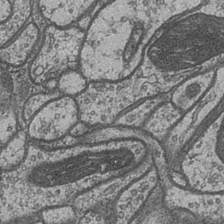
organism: Drosophila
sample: Optic medulla